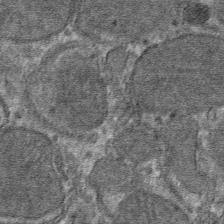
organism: Mouse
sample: Mouse hepatocytes